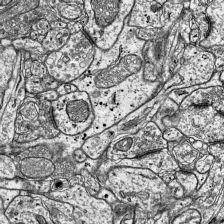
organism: Mouse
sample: Visual Cortex